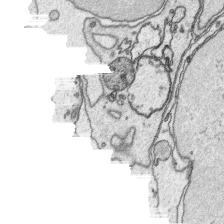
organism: Platynereis dumerilii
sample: Parapodia